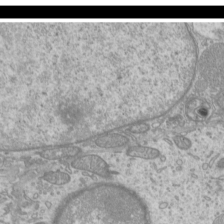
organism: Mouse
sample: Cilia; mouse epididymis